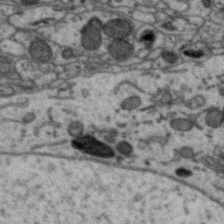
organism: Zebra finch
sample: Brain